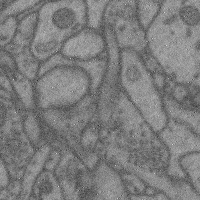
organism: Mouse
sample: Cerebral cortex